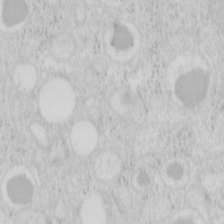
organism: Mouse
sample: Pancreas